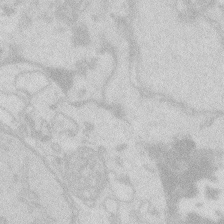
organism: Zebrafish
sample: Macrophage